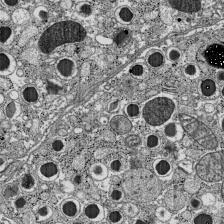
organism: C57BL Mouse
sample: Pancreatic islet